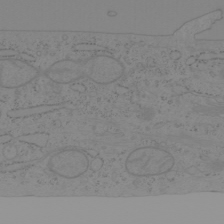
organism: Human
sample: HeLa cells